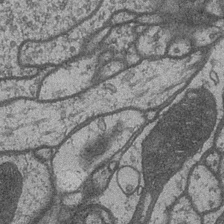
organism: Drosophila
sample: Optic medulla